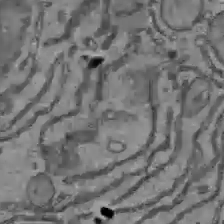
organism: C57BL Mouse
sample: Liver